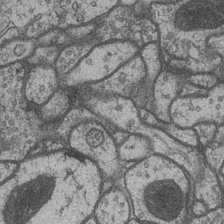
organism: Drosophila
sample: Optic medulla